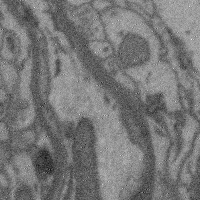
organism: Mouse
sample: Cerebral cortex